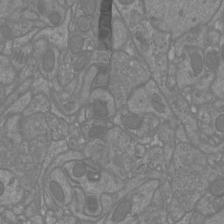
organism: Mouse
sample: Cortical neurons